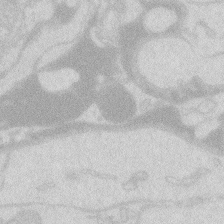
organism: Zebrafish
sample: Macrophage